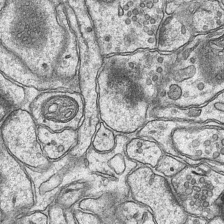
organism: Mouse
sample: CA1 Hippocampus